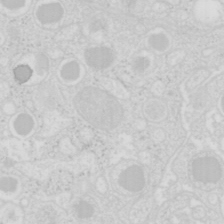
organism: Mouse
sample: Pancreas